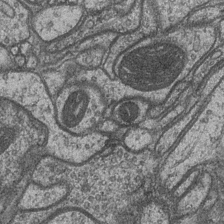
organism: Drosophila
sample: Optic medulla